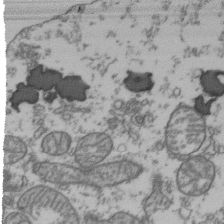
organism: Human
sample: Activated Jurkat CD4+ T cells